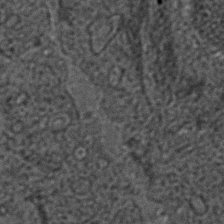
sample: Trachea